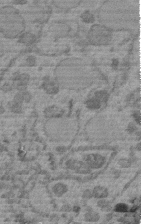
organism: C. elegans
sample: C. elegans embryo early stage